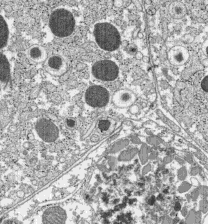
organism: C57BL Mouse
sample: Pancreatic islet